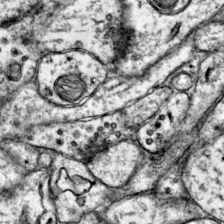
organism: Mouse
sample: Primary visual cortex